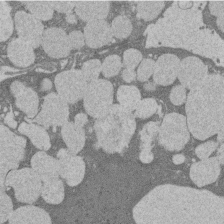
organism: Rat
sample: Salivary granule